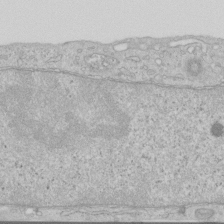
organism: Human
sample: Centriole in RPE cells